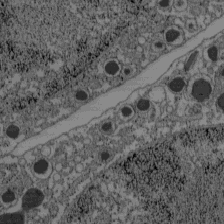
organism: C57BL Mouse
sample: Pancreatic islet